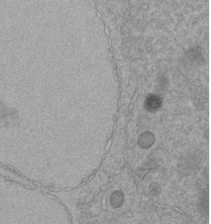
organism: C. elegans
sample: C. elegans embryo early stage